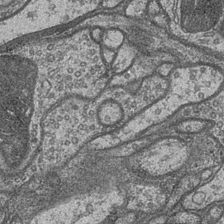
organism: Drosophila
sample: Optic medulla